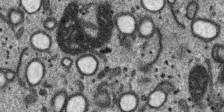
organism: Human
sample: Lung epithelial cells infected with SARS-CoV-2